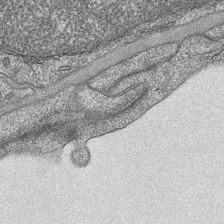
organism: Mouse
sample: CA1 Hippocampus